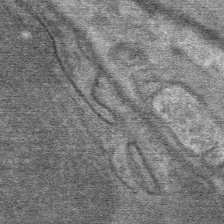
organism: Mouse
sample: Mouse Salivary gland